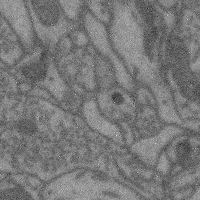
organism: Mouse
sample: Cerebral cortex